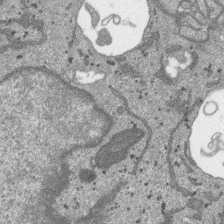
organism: Human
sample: Lung epithelial cells infected with SARS-CoV-2